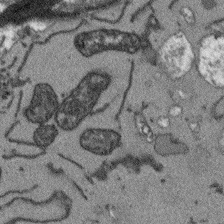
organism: Arabidopsis thaliana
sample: Root tip